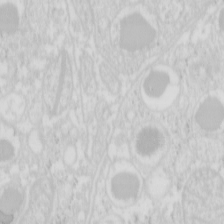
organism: Mouse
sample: Pancreas